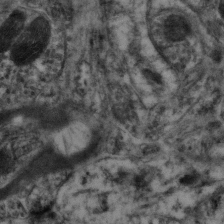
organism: Mouse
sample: Neocortex